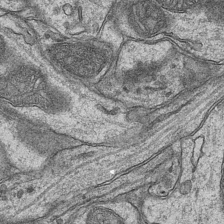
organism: Mouse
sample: CA1 Hippocampus